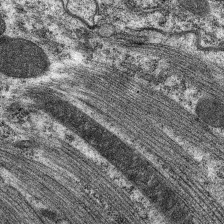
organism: C. elegans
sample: Pharynx